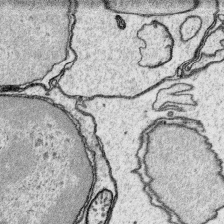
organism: Platynereis dumerilii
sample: Parapodia